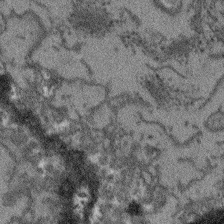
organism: Arabidopsis thaliana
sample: Root tip